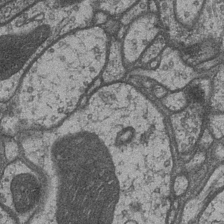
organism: Drosophila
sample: Optic medulla